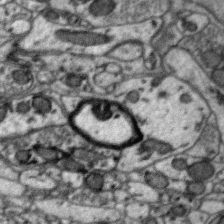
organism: Zebra finch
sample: Brain